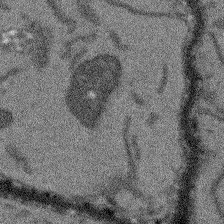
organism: Arabidopsis thaliana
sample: Root tip